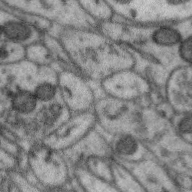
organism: Zebra finch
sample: Brain